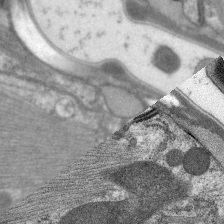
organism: C. elegans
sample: Pharynx